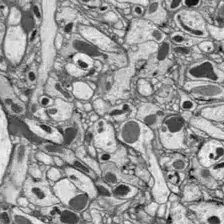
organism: Drosophila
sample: Optic lobe